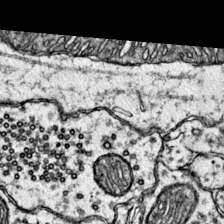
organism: Mouse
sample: Primary visual cortex